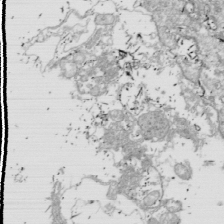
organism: Drosophila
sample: Cell division; meiosis; drosophila spermatocytes